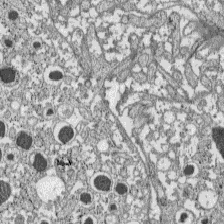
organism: C57BL Mouse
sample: Pancreatic islet